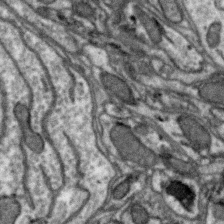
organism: Zebra finch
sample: Brain